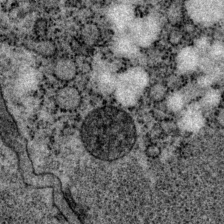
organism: P. pacificus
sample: Pharynx